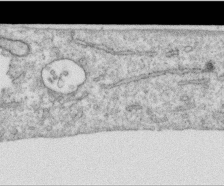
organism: Human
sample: Centriole in RPE cells